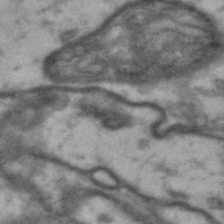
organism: Drosophila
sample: Brain